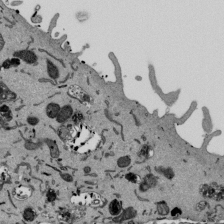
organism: Mouse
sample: ED-1 cell nuclei; centrioles